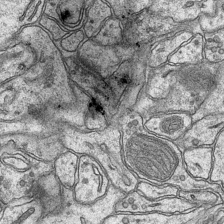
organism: Mouse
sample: CA1 Hippocampus